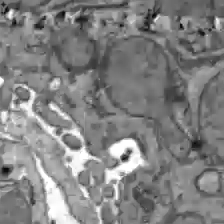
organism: C57BL Mouse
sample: Liver